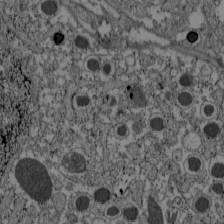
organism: C57BL Mouse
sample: Pancreatic islet